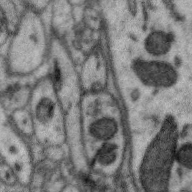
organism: Zebra finch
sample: Brain